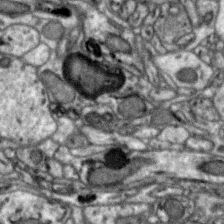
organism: Zebra finch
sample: Brain